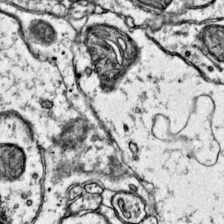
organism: Mouse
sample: Primary visual cortex